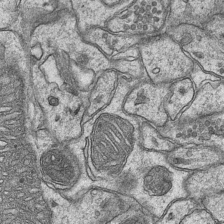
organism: Mouse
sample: CA1 Hippocampus